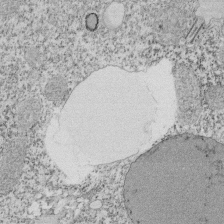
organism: Tetrahymena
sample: Cilia in tetrahymena